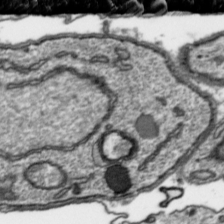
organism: Toxoplasma gondii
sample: Parasites in a vacuole inside a host cell